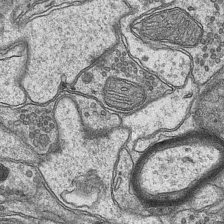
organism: Mouse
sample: CA1 Hippocampus